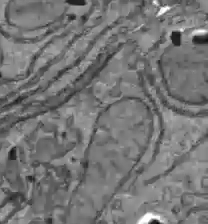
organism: C57BL Mouse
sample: Liver